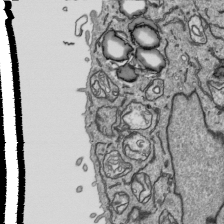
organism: Human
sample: Mitochondria in HCT116 cells